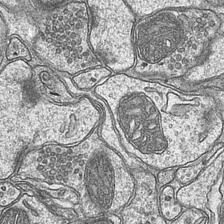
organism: Mouse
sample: CA1 Hippocampus